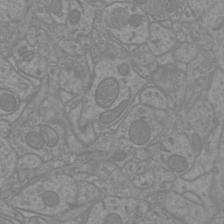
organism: Mouse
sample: Cortical neurons